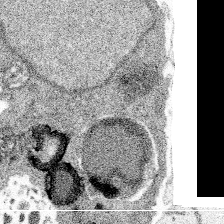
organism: Spongilla lacustris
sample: Multiple